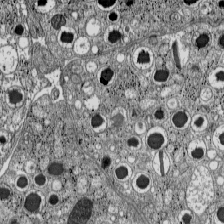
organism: C57BL Mouse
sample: Pancreatic islet